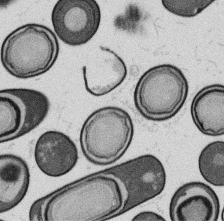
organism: B. subtilis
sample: Bacterial spore